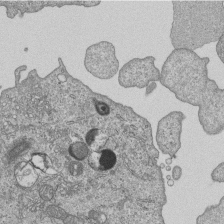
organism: Human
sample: MDA-MB-231 cells